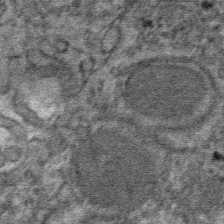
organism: Mouse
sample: Mouse hepatocytes